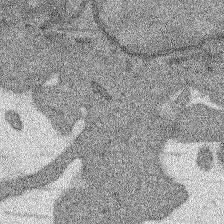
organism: Human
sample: HeLa cells